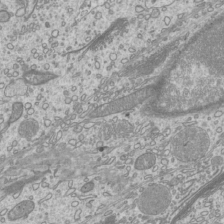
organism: Mouse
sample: Cilia; mouse epididymis